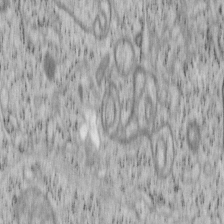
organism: Human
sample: HeLa cells